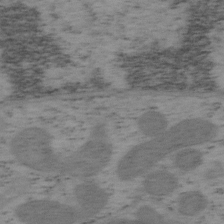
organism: Mouse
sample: OT-I killer T cells with ID8 ovarian cancer cells